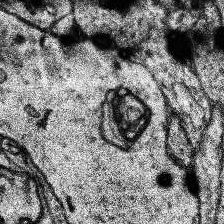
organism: Human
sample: Temporal Lobe